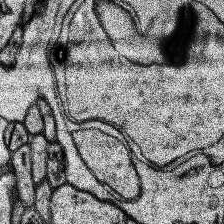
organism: Human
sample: Temporal Lobe